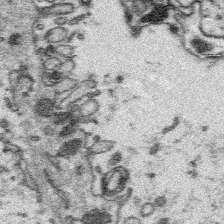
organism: Platynereis dumerilii